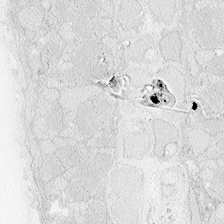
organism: Zebrafish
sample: Whole-Brain